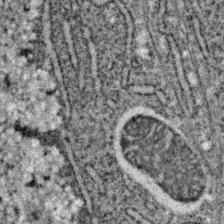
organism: C. elegans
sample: C. elegans embryo